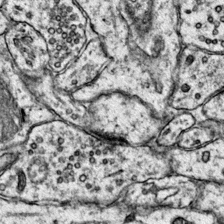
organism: Mouse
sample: Primary visual cortex